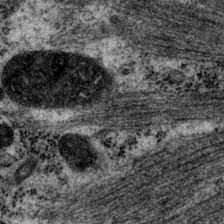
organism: P. pacificus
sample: Pharynx